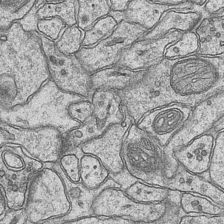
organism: Mouse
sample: CA1 Hippocampus